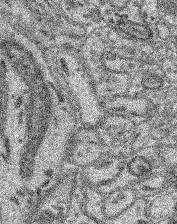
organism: Mouse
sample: Retina